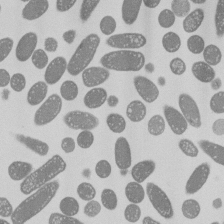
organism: E. coli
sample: Bacterial nucleoid